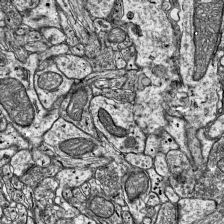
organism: Mouse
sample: Visual Cortex